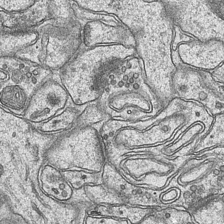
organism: Mouse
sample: CA1 Hippocampus